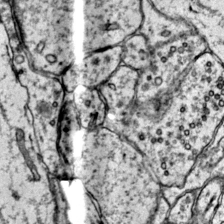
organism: Mouse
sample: Primary visual cortex